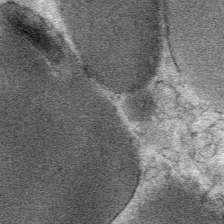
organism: Mouse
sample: Mouse Salivary gland